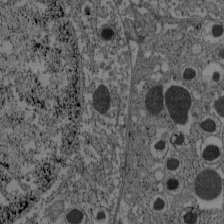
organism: C57BL Mouse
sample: Pancreatic islet